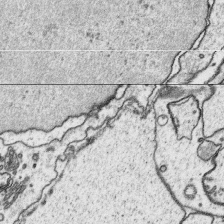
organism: Platynereis dumerilii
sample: Parapodia